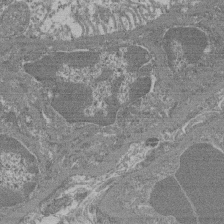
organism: Mouse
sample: Glomerulus